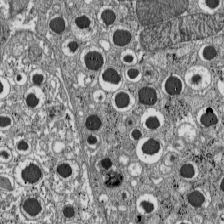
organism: C57BL Mouse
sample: Pancreatic islet